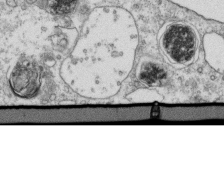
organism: Mouse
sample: Activated OT-1 CD8+ T cells